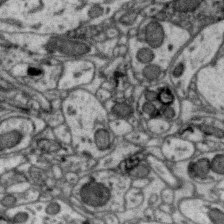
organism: Zebra finch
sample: Brain